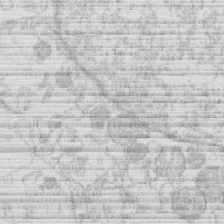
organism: Human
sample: Macrophage cells